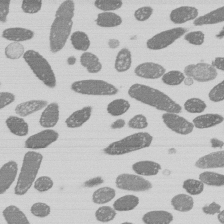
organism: E. coli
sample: Bacterial nucleoid